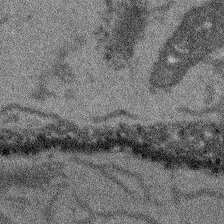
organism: Arabidopsis thaliana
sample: Root tip